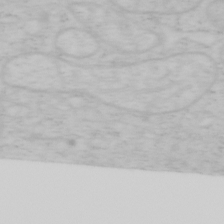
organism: Mouse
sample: OT-I killer T cells with ID8 ovarian cancer cells